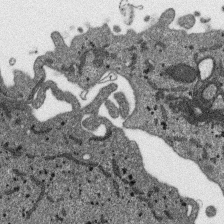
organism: Human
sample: Lung epithelial cells infected with SARS-CoV-2